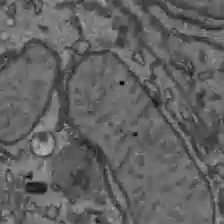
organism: C57BL Mouse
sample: Liver